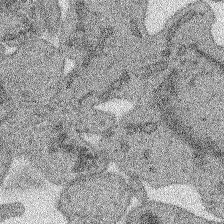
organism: Human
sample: HeLa cells